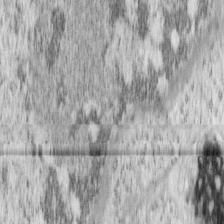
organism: Human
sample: HeLa cells